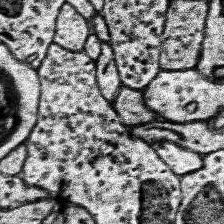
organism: Human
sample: Temporal Lobe